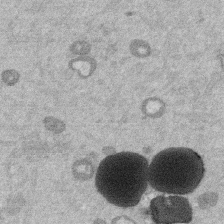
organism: Mouse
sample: Dividing mouse embryo 1 cell stage